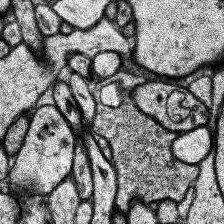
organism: Human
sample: Temporal Lobe